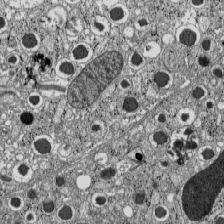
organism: C57BL Mouse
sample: Pancreatic islet